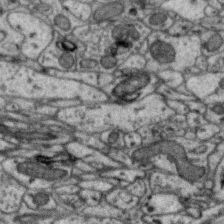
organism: Zebra finch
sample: Brain